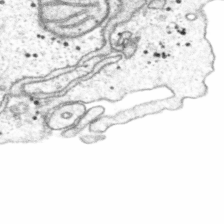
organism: Human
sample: HeLa cells